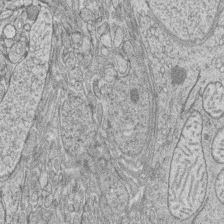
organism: Zebrafish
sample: synaptic ribbons in rod cells and cone cells